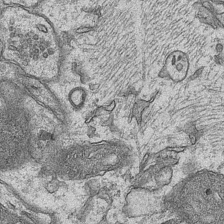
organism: Mouse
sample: CA1 Hippocampus